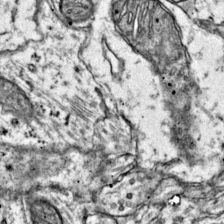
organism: Mouse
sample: Primary visual cortex